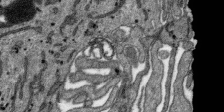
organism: Human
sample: Lung epithelial cells, uninfected (mock) control